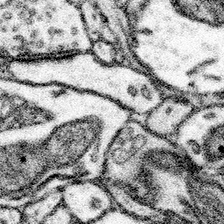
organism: Mouse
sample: Somatosensory cortex neuropil